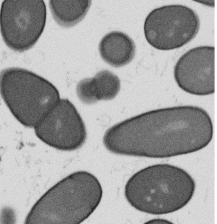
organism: B. subtilis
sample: Bacterial spore